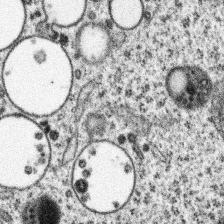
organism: Human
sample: HeLa cells